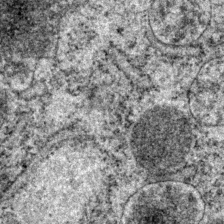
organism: P. pacificus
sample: Pharynx